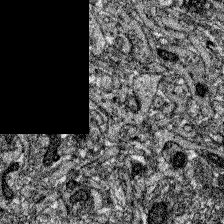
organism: Zebrafish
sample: Larval olfactory bulb